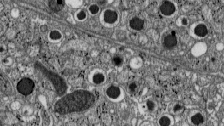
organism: C57BL Mouse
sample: Pancreatic islet